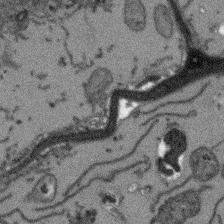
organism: Arabidopsis thaliana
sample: Root tip